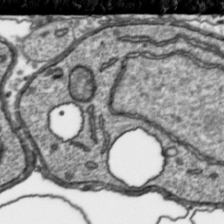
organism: Toxoplasma gondii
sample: Parasites in a vacuole inside a host cell